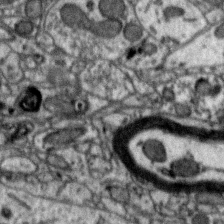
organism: Zebra finch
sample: Brain